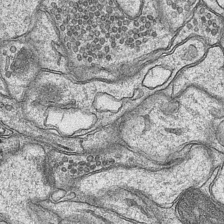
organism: Mouse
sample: CA1 Hippocampus